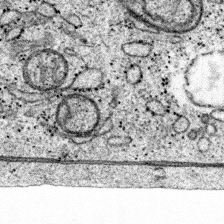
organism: Human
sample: HeLa cells